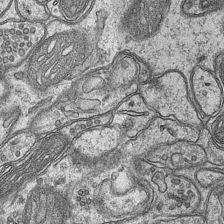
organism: Mouse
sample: CA1 Hippocampus